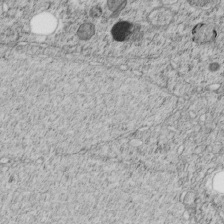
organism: C. elegans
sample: C. elegans embryo early stage